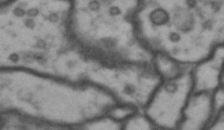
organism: Drosophila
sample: Brain